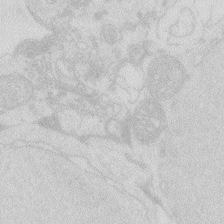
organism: Zebrafish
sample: Macrophage